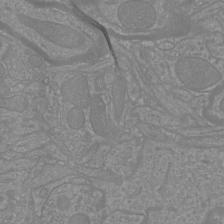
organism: Mouse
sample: Cortical neurons